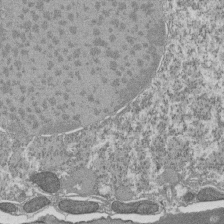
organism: Tetrahymena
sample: Cilia in tetrahymena